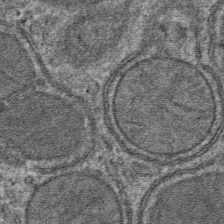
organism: Mouse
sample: Mouse hepatocytes